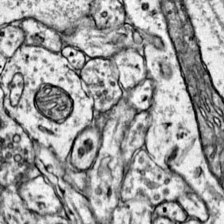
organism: Mouse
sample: Primary visual cortex